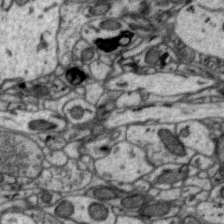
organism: Zebra finch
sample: Brain